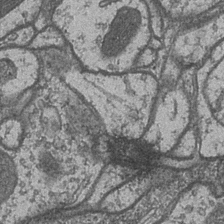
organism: Drosophila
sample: Optic medulla